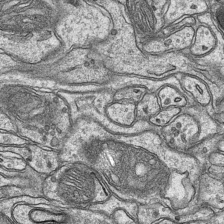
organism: Mouse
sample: CA1 Hippocampus